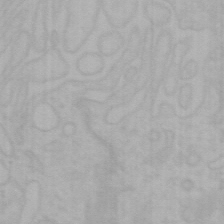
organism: Mouse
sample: Choroid plexus